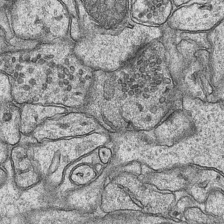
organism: Mouse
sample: CA1 Hippocampus